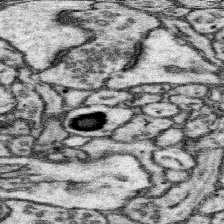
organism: Mouse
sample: Somatosensory cortex neuropil